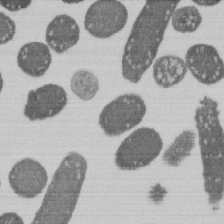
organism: E. coli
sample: Bacterial nucleoid